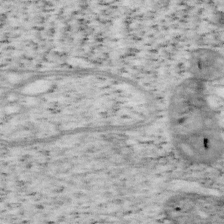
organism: Mouse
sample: OT-I killer T cells with ID8 ovarian cancer cells